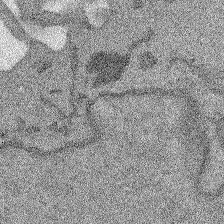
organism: Human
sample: HeLa cells